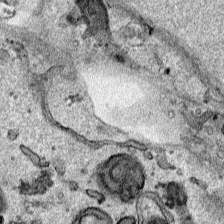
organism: Human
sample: Mitochondria in HCT116 cells